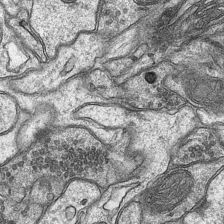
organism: Mouse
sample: CA1 Hippocampus